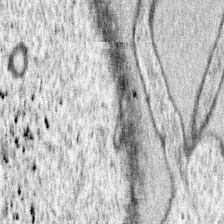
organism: Human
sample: HeLa cells